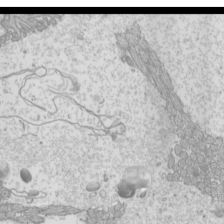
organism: Mouse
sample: Cilia; mouse epididymis